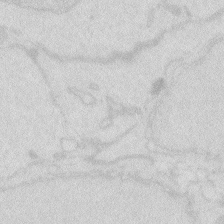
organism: Zebrafish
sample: Macrophage